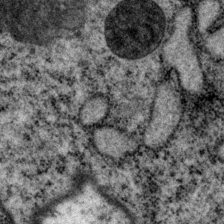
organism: P. pacificus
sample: Pharynx